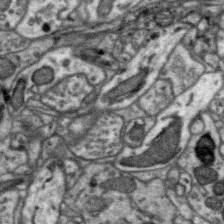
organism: Zebra finch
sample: Brain